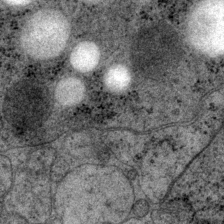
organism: P. pacificus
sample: Pharynx